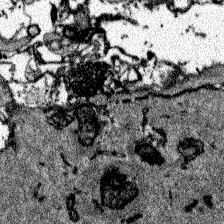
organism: Zebrafish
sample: Larval olfactory bulb